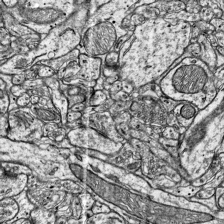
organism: Mouse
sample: Visual Cortex